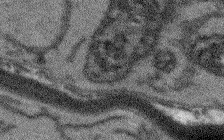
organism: Arabidopsis thaliana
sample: Root tip